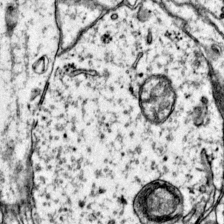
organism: Mouse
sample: Primary visual cortex